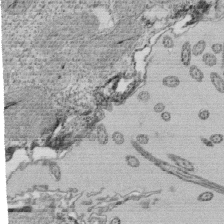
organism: Tetrahymena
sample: Cilia in tetrahymena